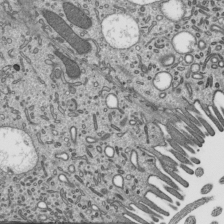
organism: Mouse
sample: Mouse epididymis efferent ductule cilia